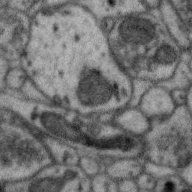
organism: Zebra finch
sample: Brain